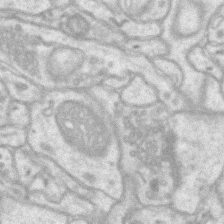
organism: Mouse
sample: CA1 Hippocampus